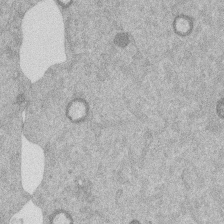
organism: Mouse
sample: Dividing mouse embryo 1 cell stage